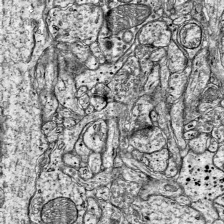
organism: Mouse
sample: Visual Cortex